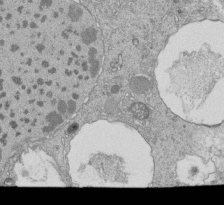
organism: Tetrahymena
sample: Cilia in tetrahymena